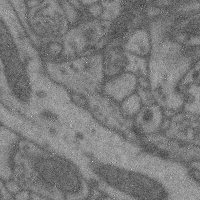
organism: Mouse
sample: Cerebral cortex